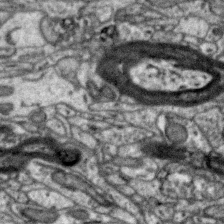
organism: Zebra finch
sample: Brain